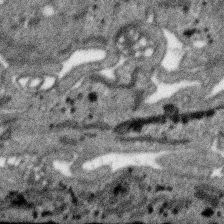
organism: Human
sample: Lung epithelial cells infected with SARS-CoV-2